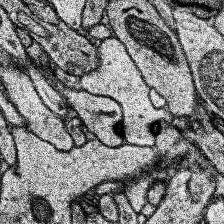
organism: Human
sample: Temporal Lobe